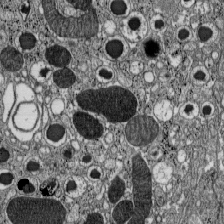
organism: C57BL Mouse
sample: Pancreatic islet